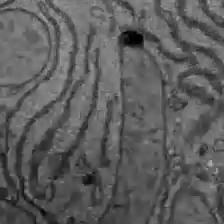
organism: C57BL Mouse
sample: Liver